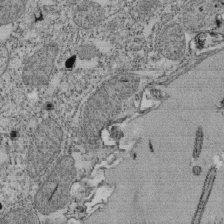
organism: Tetrahymena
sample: Cilia in tetrahymena